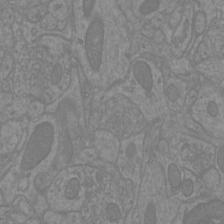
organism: Mouse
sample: Cortical neurons